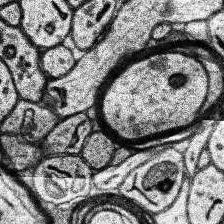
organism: Human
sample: Temporal Lobe